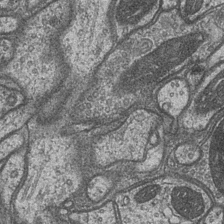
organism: Drosophila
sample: Optic medulla